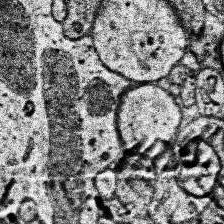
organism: Human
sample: Temporal Lobe